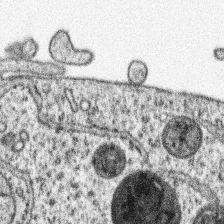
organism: Human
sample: HeLa cells